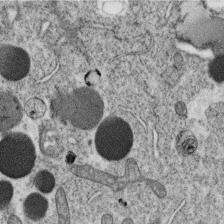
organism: C. elegans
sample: C. elegans oocyte; sperm cells